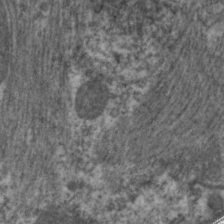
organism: C. elegans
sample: Pharynx